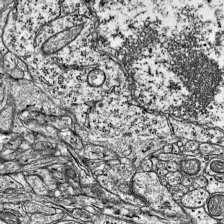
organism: Mouse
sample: Visual Cortex